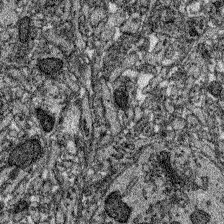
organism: Zebrafish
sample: Larval olfactory bulb